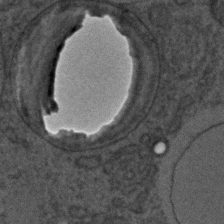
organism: C. elegans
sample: C. elegans embryo